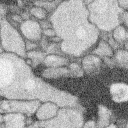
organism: Rabbit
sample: Retina